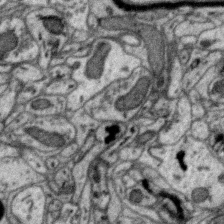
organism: Zebra finch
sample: Brain